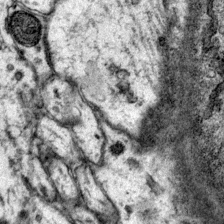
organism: Mouse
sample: Primary visual cortex